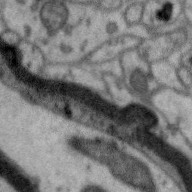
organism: Zebra finch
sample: Brain